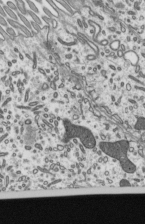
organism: Mouse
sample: Mouse epididymis efferent ductule cilia